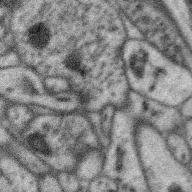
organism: Zebra finch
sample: Brain